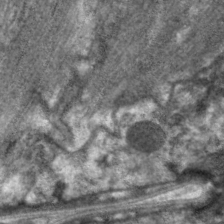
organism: C. elegans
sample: Pharynx